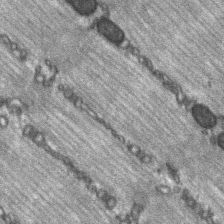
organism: C57BL Mouse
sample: Soleus